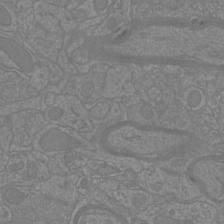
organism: Mouse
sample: Cortical neurons